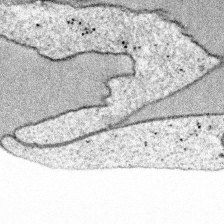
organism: Human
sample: HeLa cells